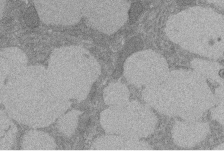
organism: Rat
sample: Salivary granule